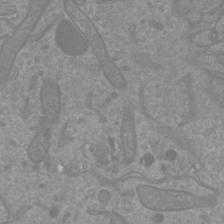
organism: Mouse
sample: Cortical neurons